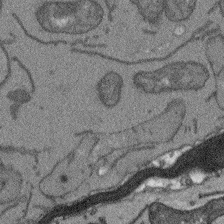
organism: Arabidopsis thaliana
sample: Root tip